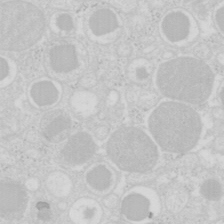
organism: Mouse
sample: Pancreas